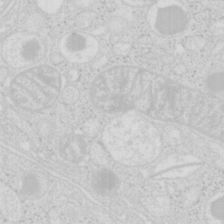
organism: Mouse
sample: Pancreas